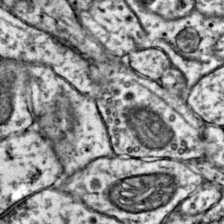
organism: Mouse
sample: Primary visual cortex